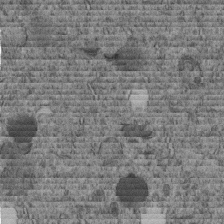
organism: C. elegans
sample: C. elegans embryo early stage